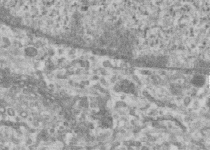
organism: Human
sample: Centriole in RPE cells